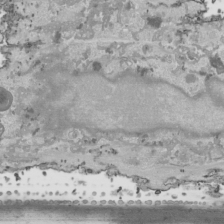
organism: Human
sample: Mitochondria in HCT116 cells